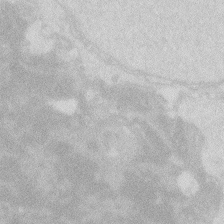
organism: Zebrafish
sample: Macrophage